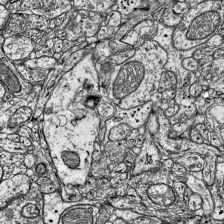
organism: Mouse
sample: Visual Cortex